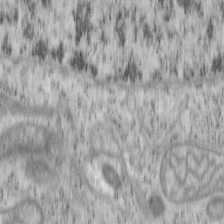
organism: Human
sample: HeLa cells